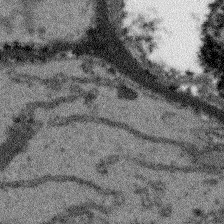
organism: Arabidopsis thaliana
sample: Root tip